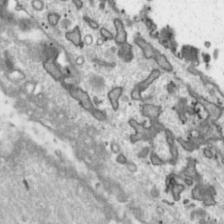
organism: Toxoplasma gondii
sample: Parasites in a vacuole inside a host cell